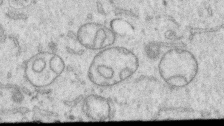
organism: Human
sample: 1205lu cells